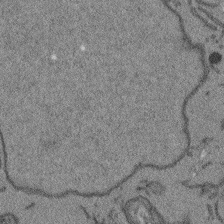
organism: Arabidopsis thaliana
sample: Root tip